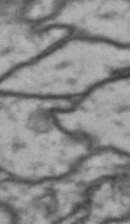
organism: Drosophila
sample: Brain